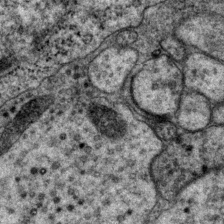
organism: P. pacificus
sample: Pharynx